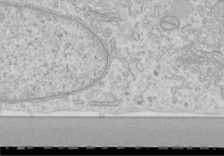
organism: Human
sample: Centriole in RPE cells